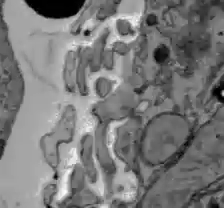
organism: C57BL Mouse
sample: Liver